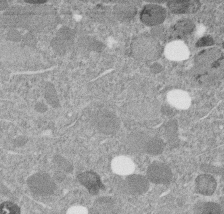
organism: C. elegans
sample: C. elegans embryo early stage